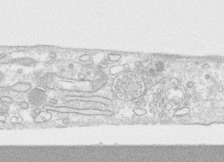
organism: Human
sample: CRL-1474